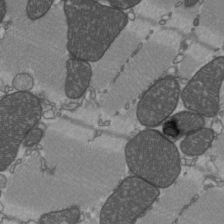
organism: C57BL Mouse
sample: Heart